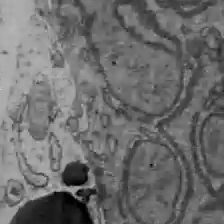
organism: C57BL Mouse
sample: Liver